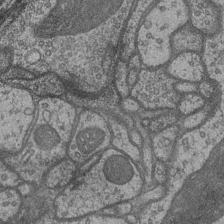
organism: Drosophila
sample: Optic medulla